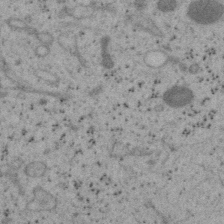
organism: Human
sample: HeLa cells